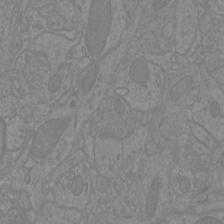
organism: Mouse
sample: Cortical neurons